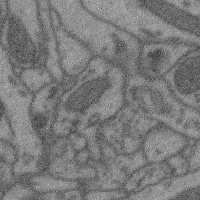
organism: Mouse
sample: Cerebral cortex